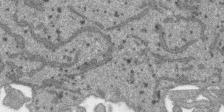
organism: Human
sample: Lung epithelial cells infected with SARS-CoV-2